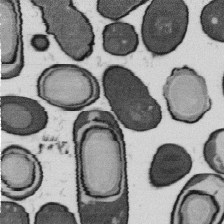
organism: B. subtilis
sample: Bacterial spore